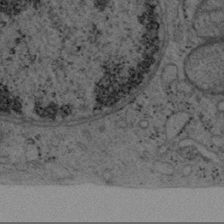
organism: Human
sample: HeLa cells